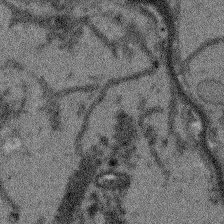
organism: Arabidopsis thaliana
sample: Root tip